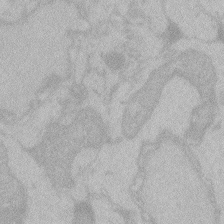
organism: Zebrafish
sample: Macrophage infected with Toxoplasma gondii